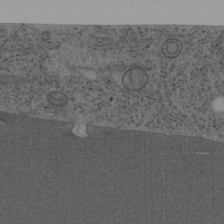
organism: Human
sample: HeLa cells